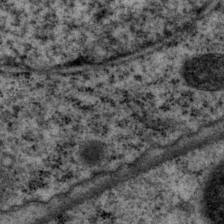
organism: P. pacificus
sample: Pharynx